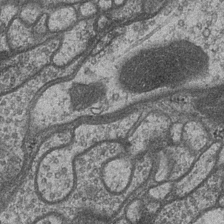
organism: Drosophila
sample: Optic medulla